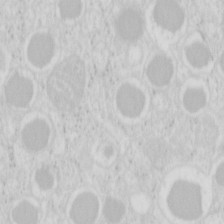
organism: Mouse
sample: Pancreas